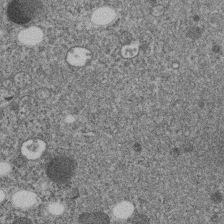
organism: C. elegans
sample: C. elegans embryo early stage